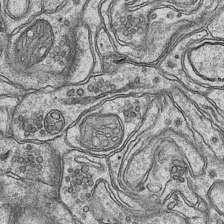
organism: Mouse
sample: CA1 Hippocampus